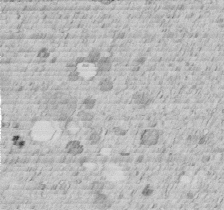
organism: C. elegans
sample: C. elegans embryo early stage